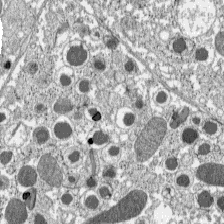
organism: C57BL Mouse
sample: Pancreatic islet